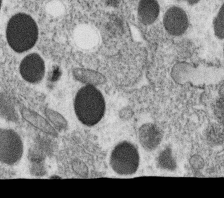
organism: C. elegans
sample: C. elegans oocyte; sperm cells